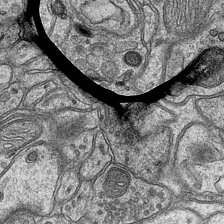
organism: Mouse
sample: CA1 Hippocampus